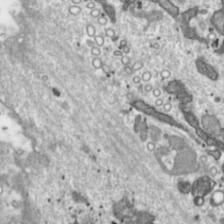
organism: Toxoplasma gondii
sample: Parasites in a vacuole inside a host cell